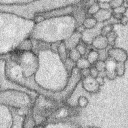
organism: Rabbit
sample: Retina